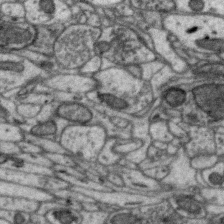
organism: Zebra finch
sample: Brain